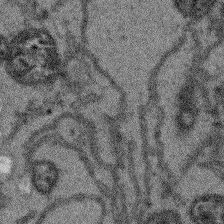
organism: Arabidopsis thaliana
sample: Root tip